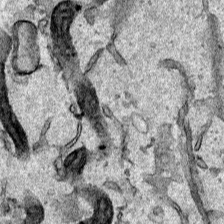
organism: Human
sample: Mitochondria in HCT116 cells